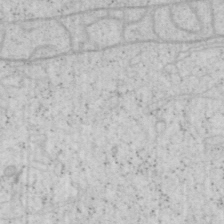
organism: Human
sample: HeLa cells